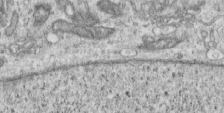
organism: Human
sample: Centriole in RPE cells